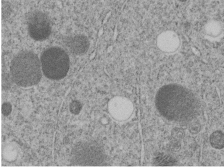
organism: C. elegans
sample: C. elegans embryo early stage